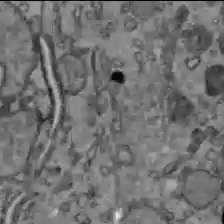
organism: C57BL Mouse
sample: Liver